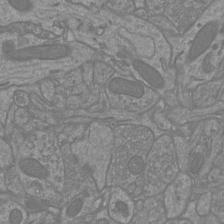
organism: Mouse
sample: Cortical neurons